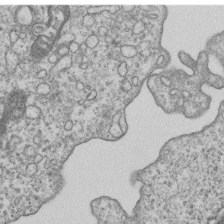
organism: Human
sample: MDA-MB-231 cells